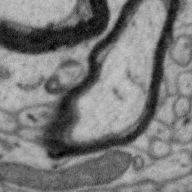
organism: Zebra finch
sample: Brain